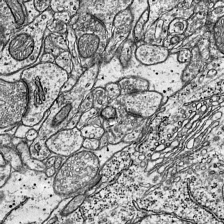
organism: Mouse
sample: Visual Cortex